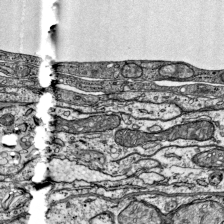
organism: Mouse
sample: Visual Cortex